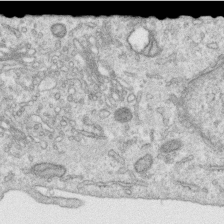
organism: Human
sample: Centriole in RPE cells